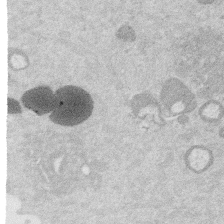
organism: Mouse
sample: Dividing mouse embryo 1 cell stage